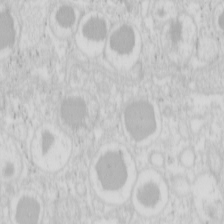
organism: Mouse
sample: Pancreas